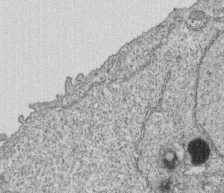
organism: Human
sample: HeLa cell HIV synapse